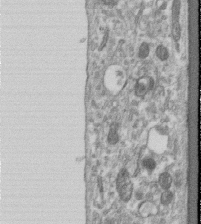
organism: Human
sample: Centriole in RPE cells